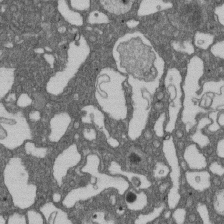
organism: Drosophila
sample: Nephrocyte